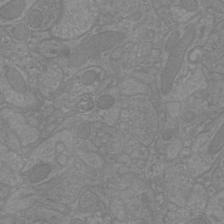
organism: Mouse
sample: Cortical neurons